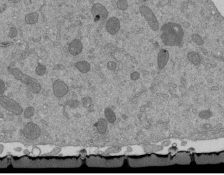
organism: Mouse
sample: ED-1 cell nuclei; centrioles